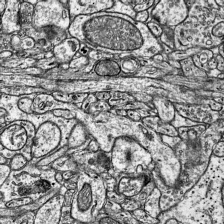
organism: Mouse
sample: Visual Cortex